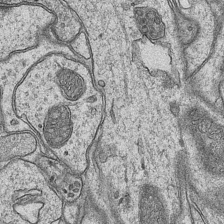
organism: Mouse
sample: CA1 Hippocampus